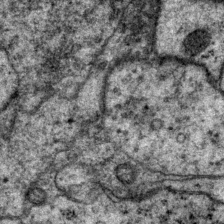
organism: P. pacificus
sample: Pharynx